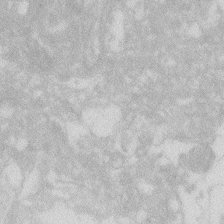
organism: Zebrafish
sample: Macrophage